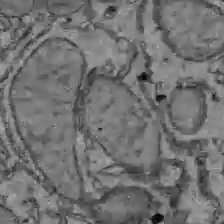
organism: C57BL Mouse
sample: Liver